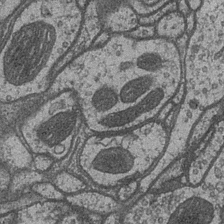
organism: Drosophila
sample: Optic medulla